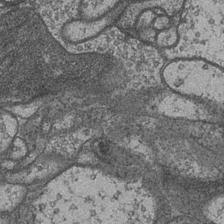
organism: Drosophila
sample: Optic medulla